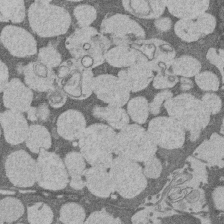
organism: Rat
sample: Salivary granule